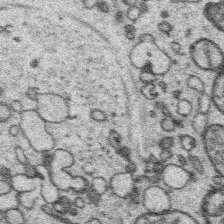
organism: Platynereis dumerilii